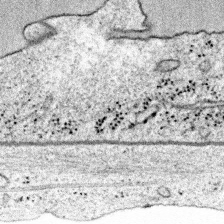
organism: Human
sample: HeLa cells